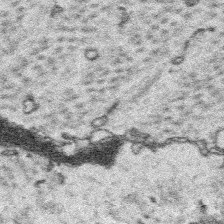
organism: Platynereis dumerilii